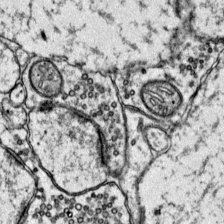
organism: Mouse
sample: Primary visual cortex